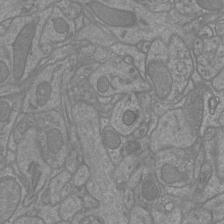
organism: Mouse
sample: Cortical neurons